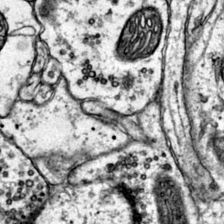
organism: Mouse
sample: Primary visual cortex